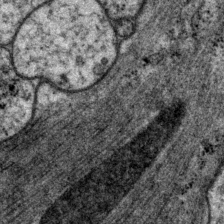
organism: P. pacificus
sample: Pharynx